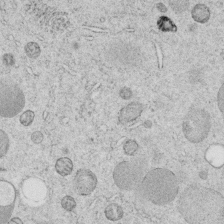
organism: C. elegans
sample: C. elegans embryo early stage